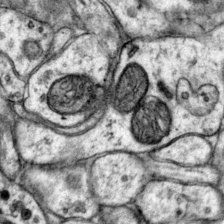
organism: Mouse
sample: Primary visual cortex